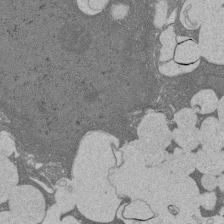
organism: Rat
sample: Salivary granule